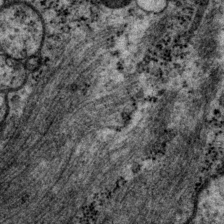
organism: P. pacificus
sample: Pharynx